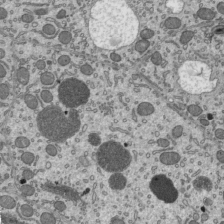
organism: Mouse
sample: Mouse epididymis efferent ductule cilia